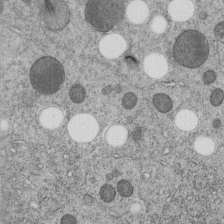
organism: C. elegans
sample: C. elegans embryo early stage